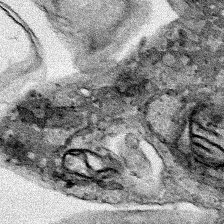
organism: Human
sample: Mitochondria in HCT116 cells